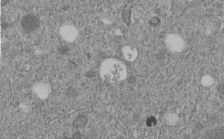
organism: C. elegans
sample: C. elegans embryo early stage